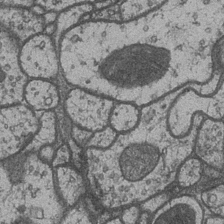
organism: Drosophila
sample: Optic medulla